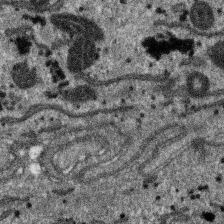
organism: Human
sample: Lung epithelial cells infected with SARS-CoV-2